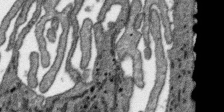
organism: Human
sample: Lung epithelial cells, uninfected (mock) control